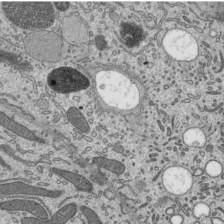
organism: Mouse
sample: Mouse epididymis efferent ductule cilia